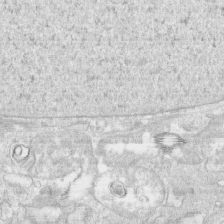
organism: Human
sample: CRL-1474